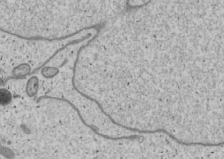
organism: Human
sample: Mitochondria in U2OS cells